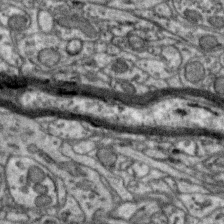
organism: Zebra finch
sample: Brain